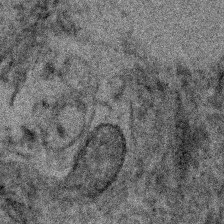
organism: Human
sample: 1205lu cells